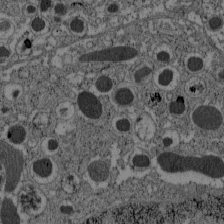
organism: C57BL Mouse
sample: Pancreatic islet